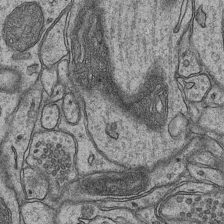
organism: Mouse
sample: CA1 Hippocampus